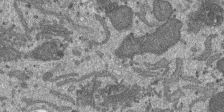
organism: Human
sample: Lung epithelial cells infected with SARS-CoV-2